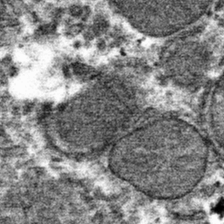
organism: Mouse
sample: Mouse hepatocytes